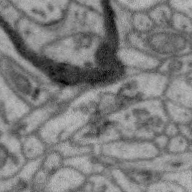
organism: Zebra finch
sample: Brain